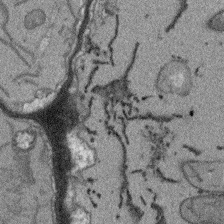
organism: Arabidopsis thaliana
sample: Root tip